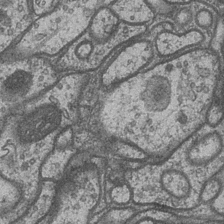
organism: Drosophila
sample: Optic medulla